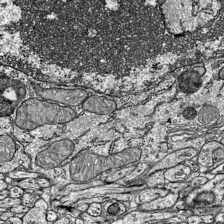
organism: Mouse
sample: Visual Cortex